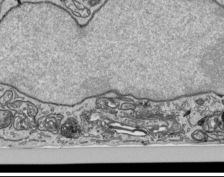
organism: Human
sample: Mitochondria in HCT116 cells